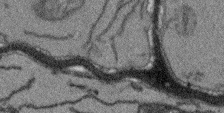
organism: Arabidopsis thaliana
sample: Root tip